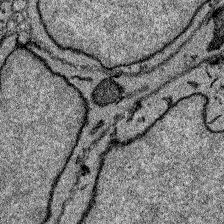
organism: Zebrafish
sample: Larval olfactory bulb